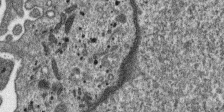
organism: Human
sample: Lung epithelial cells infected with SARS-CoV-2